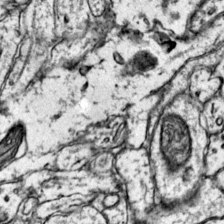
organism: Mouse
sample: Primary visual cortex